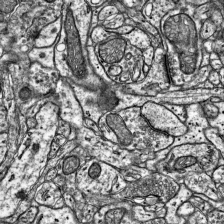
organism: Mouse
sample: Visual Cortex